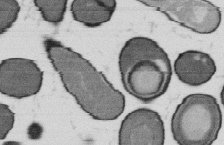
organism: B. subtilis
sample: Bacterial spore